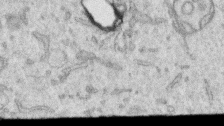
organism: Human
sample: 1205lu cells